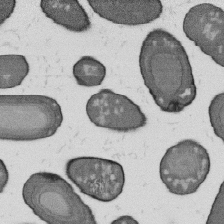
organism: B. subtilis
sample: Bacterial spore